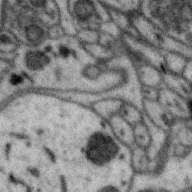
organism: Zebra finch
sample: Brain